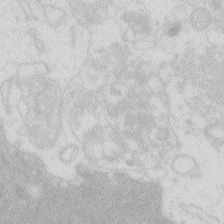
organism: Zebrafish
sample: Macrophage